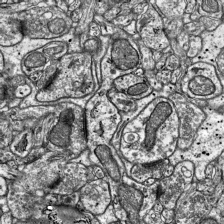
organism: Mouse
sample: Visual Cortex